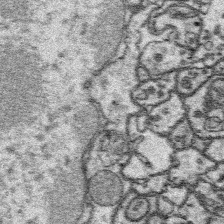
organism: Platynereis dumerilii